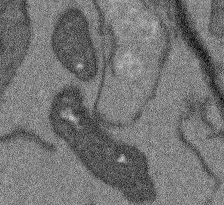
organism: Arabidopsis thaliana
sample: Root tip